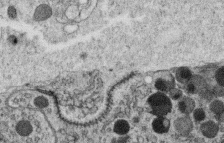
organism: C. elegans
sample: C. elegans oocyte; sperm cells